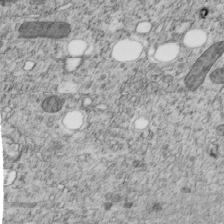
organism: C. elegans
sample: C. elegans embryo early stage